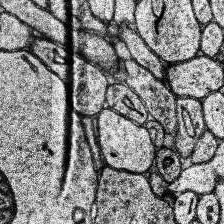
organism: Human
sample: Temporal Lobe